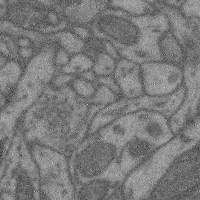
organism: Mouse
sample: Cerebral cortex